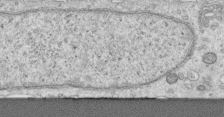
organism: Human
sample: Centriole in RPE cells